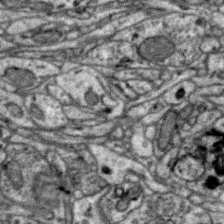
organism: Zebra finch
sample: Brain